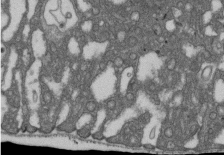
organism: Drosophila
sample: Nephrocyte